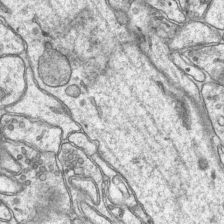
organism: Mouse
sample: CA1 Hippocampus